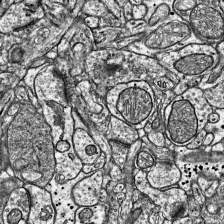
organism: Mouse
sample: Visual Cortex